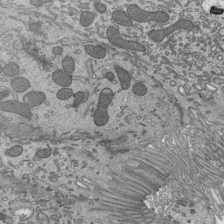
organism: Mouse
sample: Mouse epididymis efferent ductule cilia